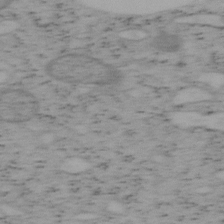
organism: Mouse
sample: OT-I killer T cells with ID8 ovarian cancer cells